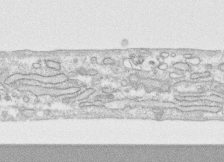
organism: Human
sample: CRL-1474